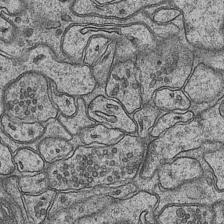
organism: Mouse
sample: CA1 Hippocampus